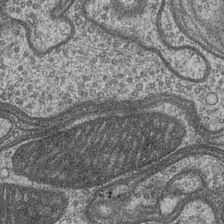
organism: Drosophila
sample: Optic medulla